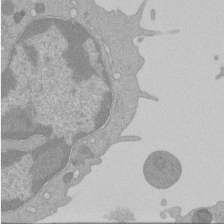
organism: Mouse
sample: Activated Pmel transgenic CD8+ T Cells